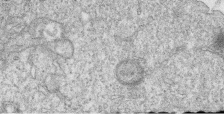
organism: Human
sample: HeLa cell HIV synapse